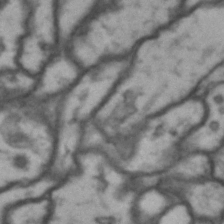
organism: Drosophila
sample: Brain